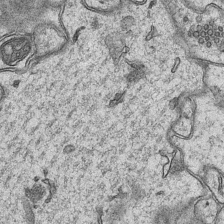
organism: Mouse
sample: CA1 Hippocampus